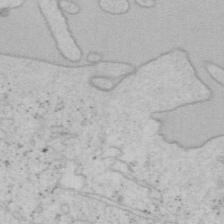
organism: Human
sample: HeLa cells